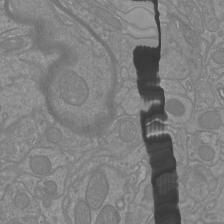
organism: Mouse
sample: Cortical neurons